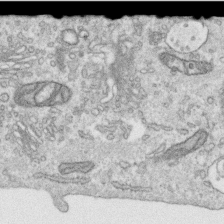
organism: Human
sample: Centriole in RPE cells